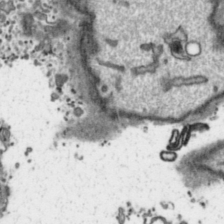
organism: Toxoplasma gondii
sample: Parasites in a vacuole inside a host cell